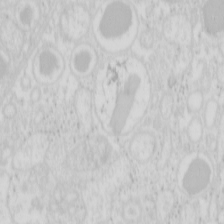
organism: Mouse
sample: Pancreas